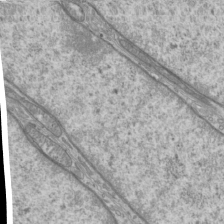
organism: Mouse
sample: Cilia; mouse epididymis